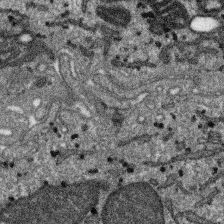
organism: Human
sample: Lung epithelial cells infected with SARS-CoV-2